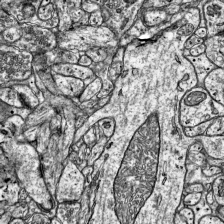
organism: Mouse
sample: Visual Cortex